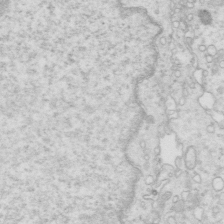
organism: Mouse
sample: Multiciliated cells